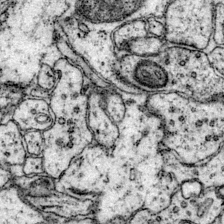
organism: Mouse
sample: Primary visual cortex